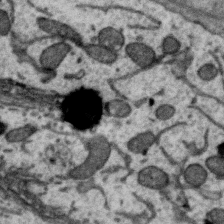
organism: Zebra finch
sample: Brain